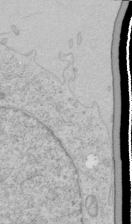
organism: Human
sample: Mitochondria in HCT116 cells